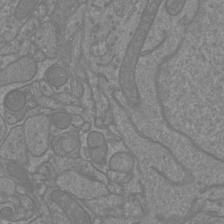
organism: Mouse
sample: Cortical neurons